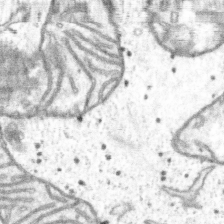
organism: Human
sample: HeLa cells